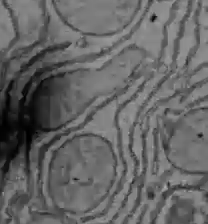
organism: C57BL Mouse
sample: Liver